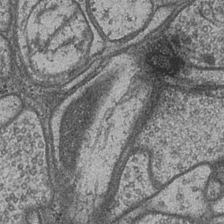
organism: Drosophila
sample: Optic medulla